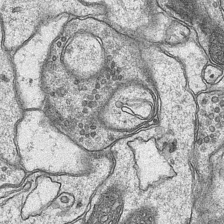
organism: Mouse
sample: CA1 Hippocampus